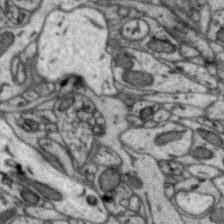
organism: Zebra finch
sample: Brain